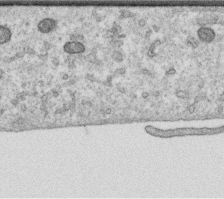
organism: Human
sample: Centriole in RPE cells